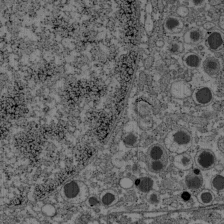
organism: C57BL Mouse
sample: Pancreatic islet